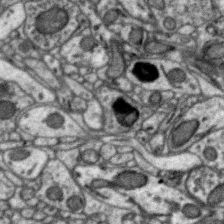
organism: Zebra finch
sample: Brain